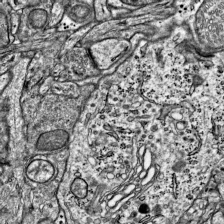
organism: Mouse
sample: Visual Cortex